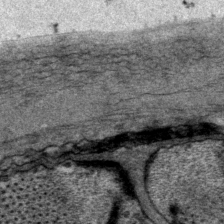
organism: P. pacificus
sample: Pharynx